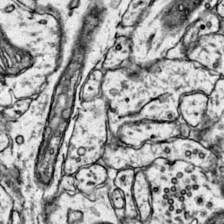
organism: Mouse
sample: Primary visual cortex